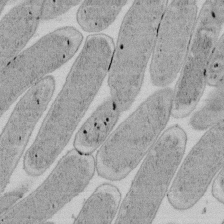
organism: E. coli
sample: Bacterial nucleoid